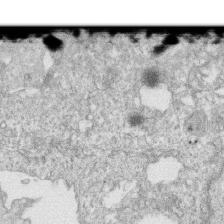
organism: Human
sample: HeLa cell HIV synapse